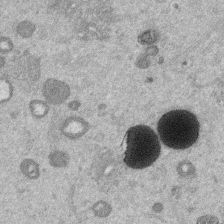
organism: Mouse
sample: Dividing mouse embryo 1 cell stage